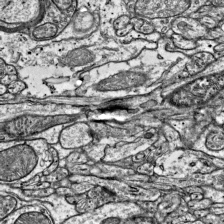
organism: Mouse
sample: Visual Cortex